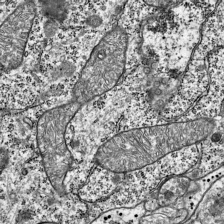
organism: Mouse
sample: Visual Cortex